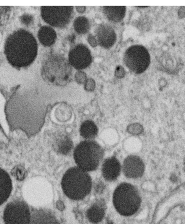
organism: C. elegans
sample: C. elegans oocyte; sperm cells